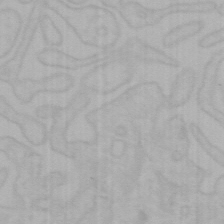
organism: Mouse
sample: Choroid plexus